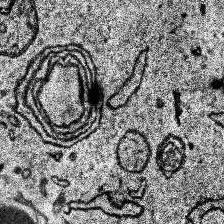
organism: Human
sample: Temporal Lobe